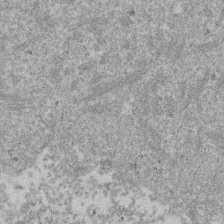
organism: Mouse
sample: Dividing mouse embryo 1 cell stage